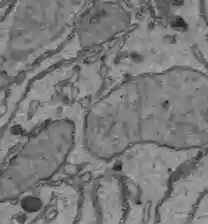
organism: C57BL Mouse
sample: Liver